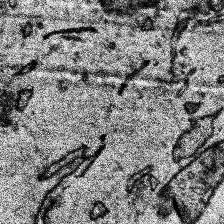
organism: Human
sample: Temporal Lobe